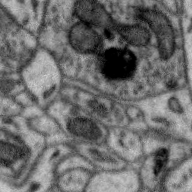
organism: Zebra finch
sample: Brain